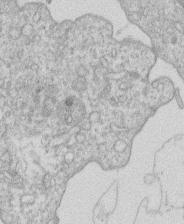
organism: Human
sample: Macrophage cells